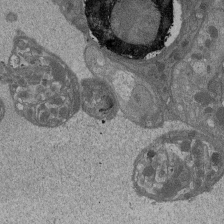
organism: Drosophila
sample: Antenna